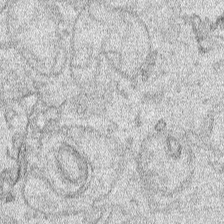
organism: Human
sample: Mitochondria in HCT116 cells